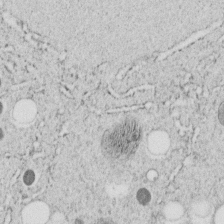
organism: C. elegans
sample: C. elegans embryo early stage